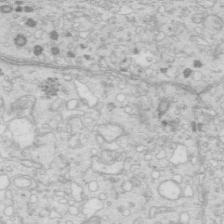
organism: Mouse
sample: Multiciliated cells